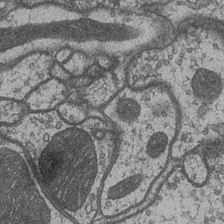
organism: Drosophila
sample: Optic medulla